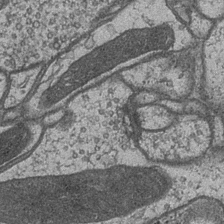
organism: Drosophila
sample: Optic medulla